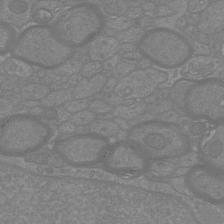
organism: Mouse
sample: Cortical neurons